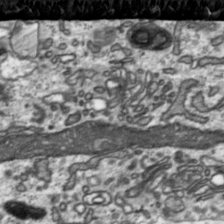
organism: Toxoplasma gondii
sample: Parasites in a vacuole inside a host cell